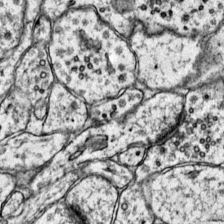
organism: Mouse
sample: Primary visual cortex